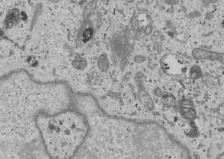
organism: Human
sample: Mitochondria in U2OS cells